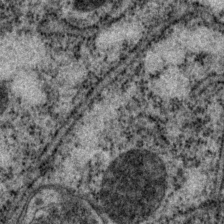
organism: P. pacificus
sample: Pharynx